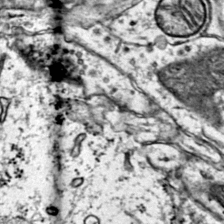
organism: Mouse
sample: Primary visual cortex